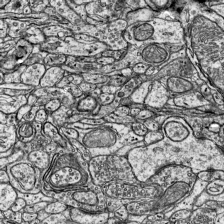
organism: Mouse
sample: Visual Cortex